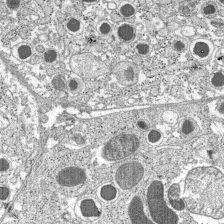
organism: C57BL Mouse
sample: Pancreatic islet